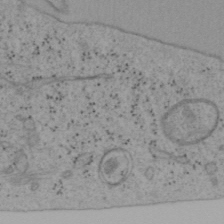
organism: Human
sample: HeLa cells